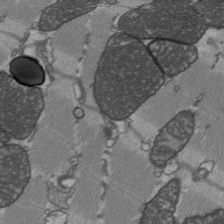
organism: C57BL Mouse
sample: Heart